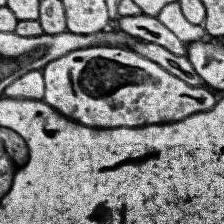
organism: Human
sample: Temporal Lobe